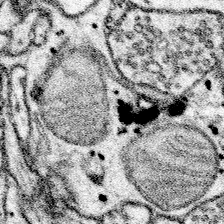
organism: Mouse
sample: Somatosensory cortex neuropil